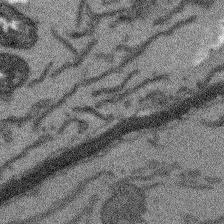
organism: Arabidopsis thaliana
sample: Root tip